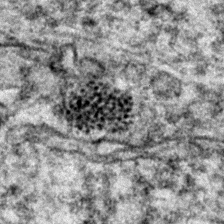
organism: Zebrafish